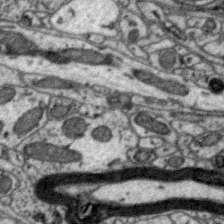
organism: Zebra finch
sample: Brain